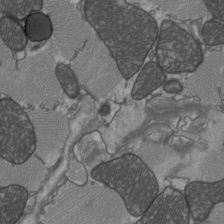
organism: C57BL Mouse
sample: Heart